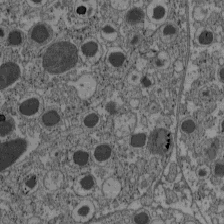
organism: C57BL Mouse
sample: Pancreatic islet